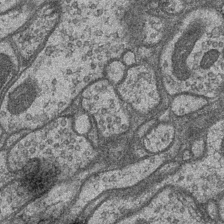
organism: Drosophila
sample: Optic medulla